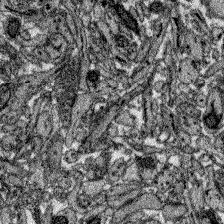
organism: Zebrafish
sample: Larval olfactory bulb